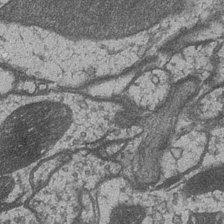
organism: Drosophila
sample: Optic medulla